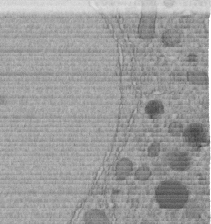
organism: C. elegans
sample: C. elegans embryo early stage